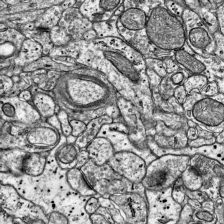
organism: Mouse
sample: Visual Cortex